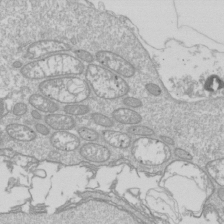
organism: Drosophila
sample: Cell division; meiosis; drosophila spermatocytes